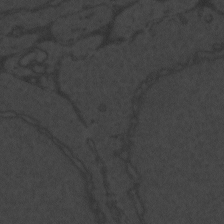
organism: Zebrafish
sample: Macrophage infected with Toxoplasma gondii